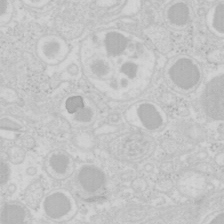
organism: Mouse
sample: Pancreas